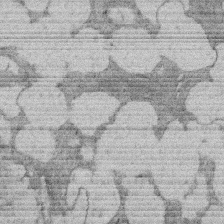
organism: Rat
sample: Salivary granule